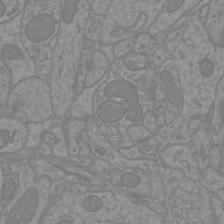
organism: Mouse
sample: Cortical neurons